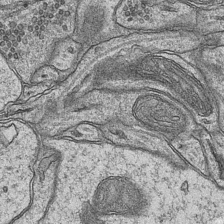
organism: Mouse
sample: CA1 Hippocampus